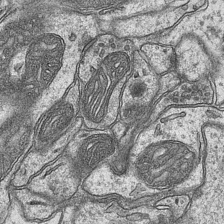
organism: Mouse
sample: CA1 Hippocampus